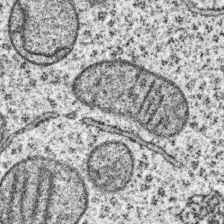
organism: Human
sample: HeLa cells